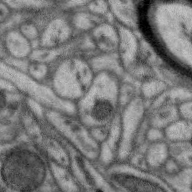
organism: Zebra finch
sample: Brain